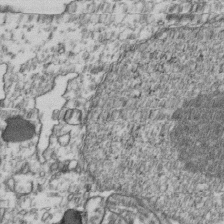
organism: Human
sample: Activated Jurkat CD4+ T cells